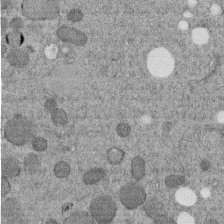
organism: C. elegans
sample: C. elegans embryo early stage